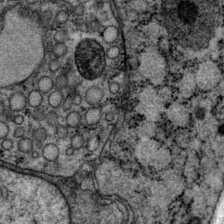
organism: P. pacificus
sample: Pharynx